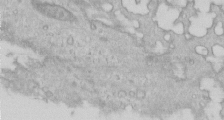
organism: Human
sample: Centriole in RPE cells